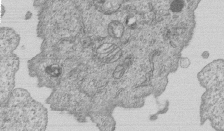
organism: Human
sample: MDA-MB-231 cells